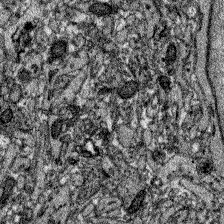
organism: Zebrafish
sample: Larval olfactory bulb